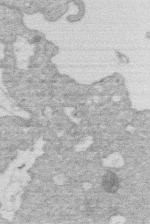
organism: Human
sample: Macrophage cells